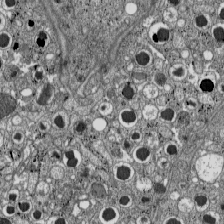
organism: C57BL Mouse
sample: Pancreatic islet